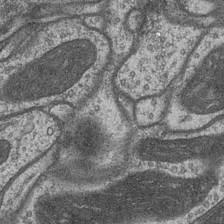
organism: Drosophila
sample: Optic medulla